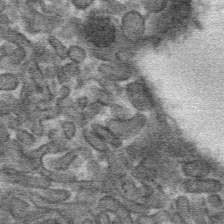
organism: Mouse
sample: Mouse hepatocytes